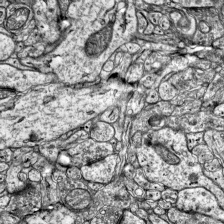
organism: Mouse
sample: Visual Cortex